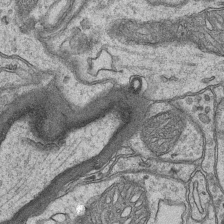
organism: Mouse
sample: CA1 Hippocampus